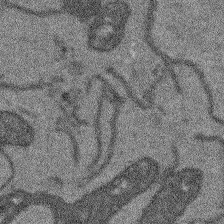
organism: Arabidopsis thaliana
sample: Root tip